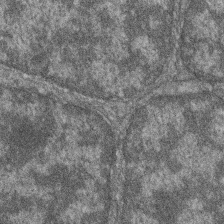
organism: Zebrafish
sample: Cilia; retinal pigment epithelium